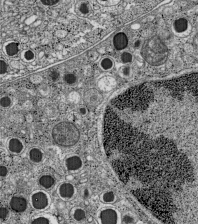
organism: C57BL Mouse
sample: Pancreatic islet